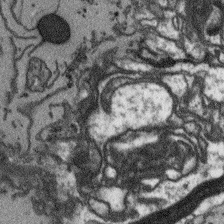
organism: Arabidopsis thaliana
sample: Root tip